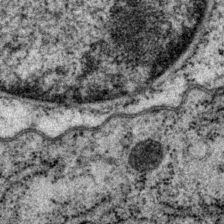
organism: P. pacificus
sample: Pharynx